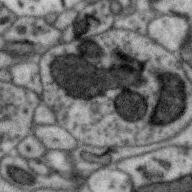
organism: Zebra finch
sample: Brain